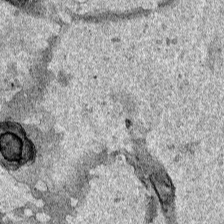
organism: Human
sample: Mitochondria in HCT116 cells